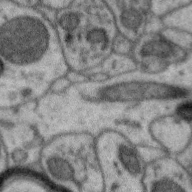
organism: Zebra finch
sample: Brain